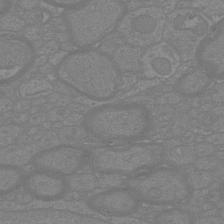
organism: Mouse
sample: Cortical neurons